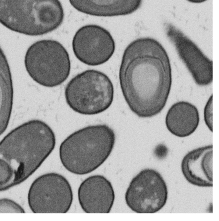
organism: B. subtilis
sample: Bacterial spore